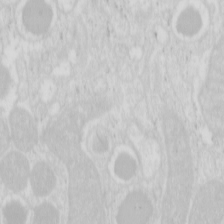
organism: Mouse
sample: Pancreas